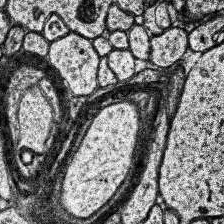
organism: Human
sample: Temporal Lobe